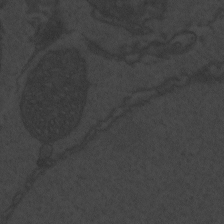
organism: Zebrafish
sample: Macrophage infected with Toxoplasma gondii